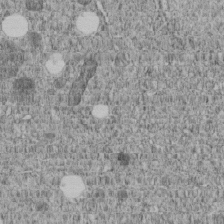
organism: C. elegans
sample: C. elegans embryo early stage